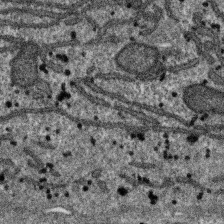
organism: Human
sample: Lung epithelial cells infected with SARS-CoV-2